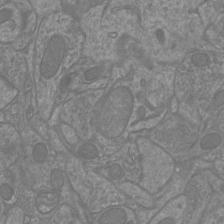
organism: Mouse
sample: Cortical neurons